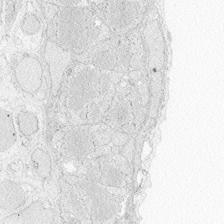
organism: Zebrafish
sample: Whole-Brain